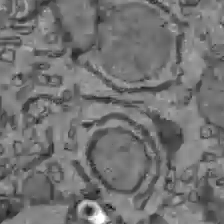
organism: C57BL Mouse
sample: Liver